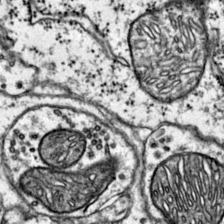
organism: Mouse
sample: Primary visual cortex